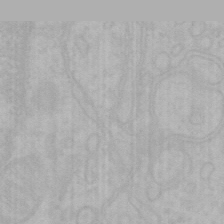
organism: Mouse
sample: Choroid plexus